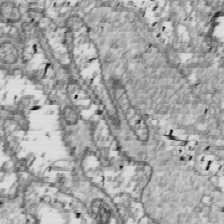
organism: Drosophila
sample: Cell division; meiosis; drosophila spermatocytes